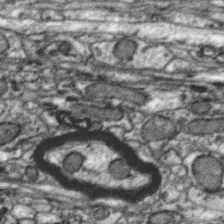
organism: Zebra finch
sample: Brain